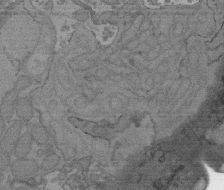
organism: C. elegans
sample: AFD neurons C. elegans